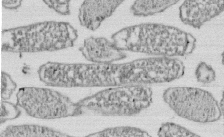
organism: E. coli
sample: Bacterial nucleoid